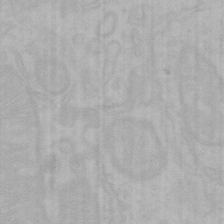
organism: Mouse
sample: Choroid plexus